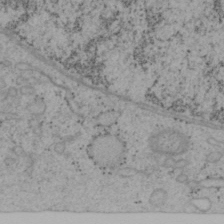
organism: Human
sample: HeLa cells